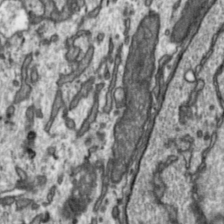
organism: Toxoplasma gondii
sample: Parasites in a vacuole inside a host cell